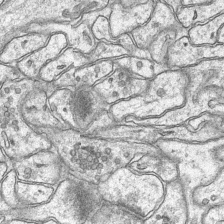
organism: Mouse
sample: CA1 Hippocampus